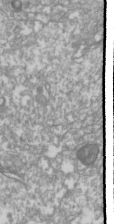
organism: Drosophila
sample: Cell division; meiosis; drosophila spermatocytes